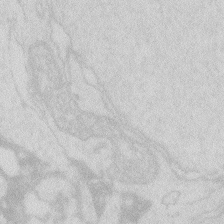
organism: Zebrafish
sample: Macrophage